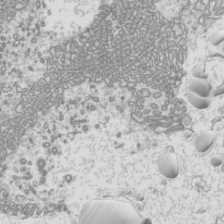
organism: Mouse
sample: Cilia; mouse epididymis